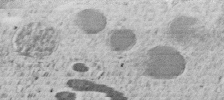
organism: C. elegans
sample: C. elegans embryo early stage